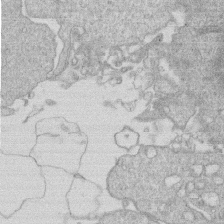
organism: Human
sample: Macrophage cells